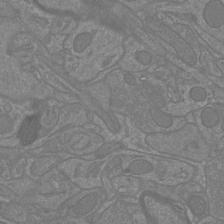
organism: Mouse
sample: Cortical neurons